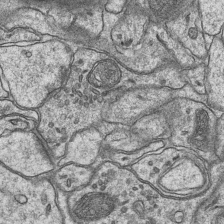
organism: Mouse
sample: CA1 Hippocampus